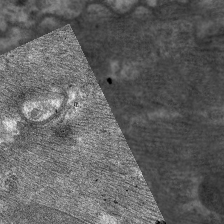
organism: C. elegans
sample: Pharynx